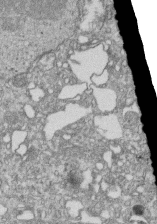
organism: Human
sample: HeLa cell HIV synapse